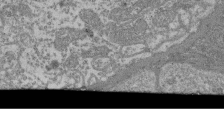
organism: Mouse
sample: Glomerulus